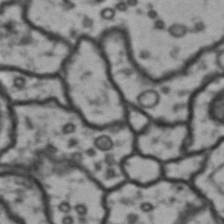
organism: Drosophila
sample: Brain